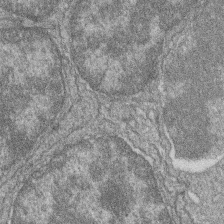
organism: Zebrafish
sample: Cilia; retinal pigment epithelium